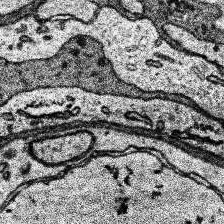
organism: Human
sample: Temporal Lobe